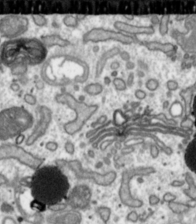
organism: Toxoplasma gondii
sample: Parasites in a vacuole inside a host cell